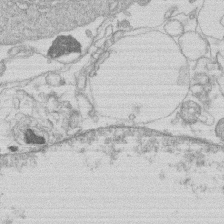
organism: Human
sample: Macrophage cells